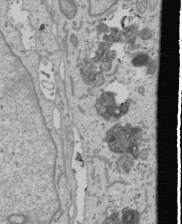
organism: Human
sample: Mitochondria in U2OS cells